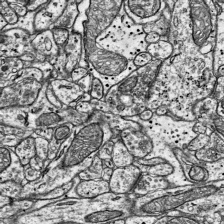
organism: Mouse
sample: Visual Cortex